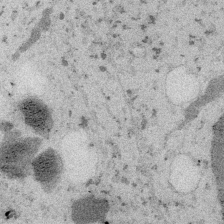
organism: Embia sp.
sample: Silk gland